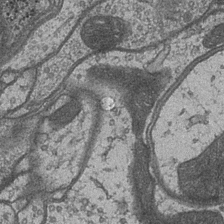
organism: Drosophila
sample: Optic medulla